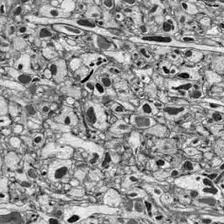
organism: Drosophila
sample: Optic lobe